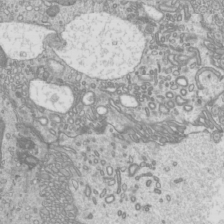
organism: Mouse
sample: Cilia; mouse epididymis